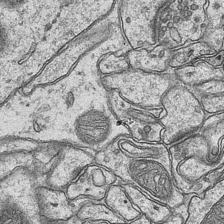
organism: Mouse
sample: CA1 Hippocampus